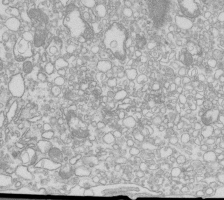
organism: Mouse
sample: Macrophages